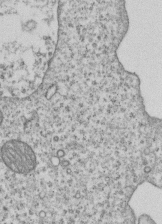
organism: Human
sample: MDA-MB-231 cells